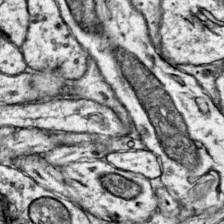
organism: Mouse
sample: Primary visual cortex